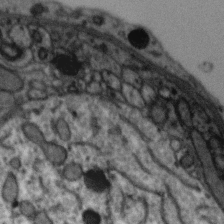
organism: Zebra finch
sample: Brain